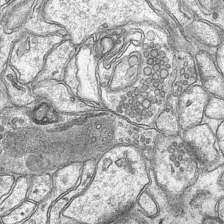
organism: Mouse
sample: CA1 Hippocampus